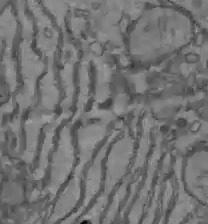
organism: C57BL Mouse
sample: Liver